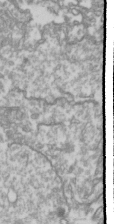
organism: Drosophila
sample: Cell division; meiosis; drosophila spermatocytes